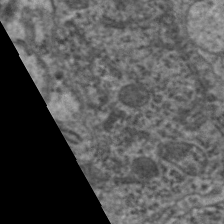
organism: C. elegans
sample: Pharynx